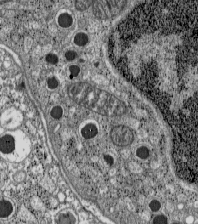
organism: C57BL Mouse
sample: Pancreatic islet